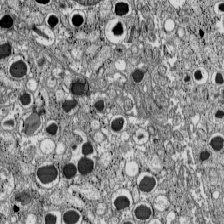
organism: C57BL Mouse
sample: Pancreatic islet